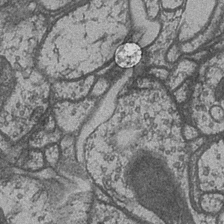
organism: Drosophila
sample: Optic medulla